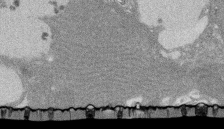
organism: Rat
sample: Salivary granule